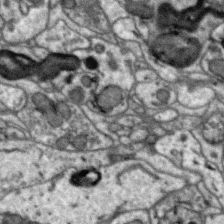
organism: Zebra finch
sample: Brain